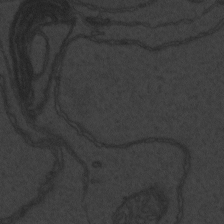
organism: Zebrafish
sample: Macrophage infected with Toxoplasma gondii